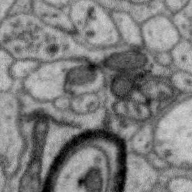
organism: Zebra finch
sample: Brain